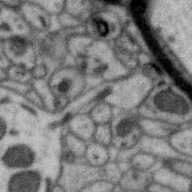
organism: Zebra finch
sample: Brain